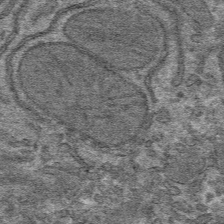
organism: Mouse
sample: Mouse hepatocytes